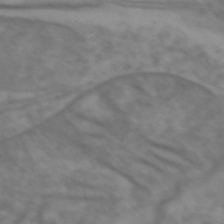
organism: Zebrafish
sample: Zebrafish embryo